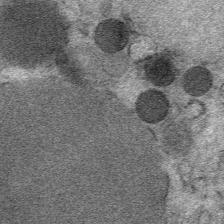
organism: Mouse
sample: Mouse Salivary gland